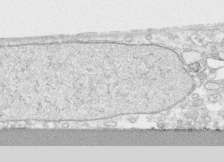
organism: Human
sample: CRL-1474